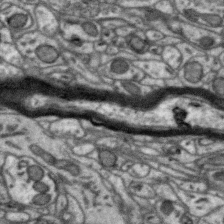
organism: Zebra finch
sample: Brain